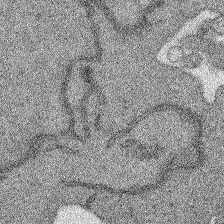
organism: Human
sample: HeLa cells